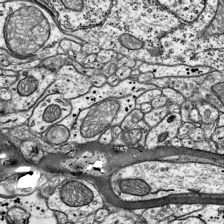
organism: Mouse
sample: Visual Cortex